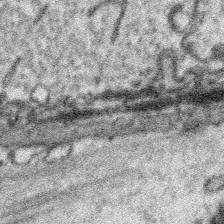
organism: Platynereis dumerilii